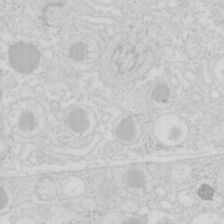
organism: Mouse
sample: Pancreas